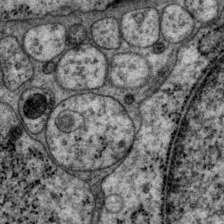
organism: P. pacificus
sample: Pharynx